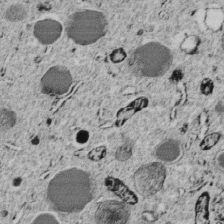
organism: C. elegans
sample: C. elegans embryo early stage